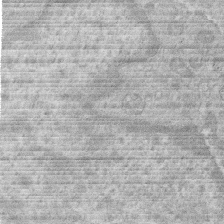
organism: Human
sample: Macrophage cells